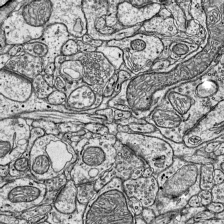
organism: Mouse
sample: Visual Cortex